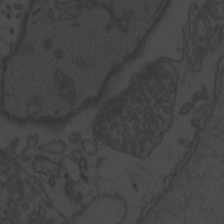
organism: Zebrafish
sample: Macrophage infected with Toxoplasma gondii